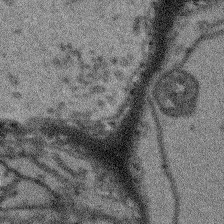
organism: Arabidopsis thaliana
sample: Root tip